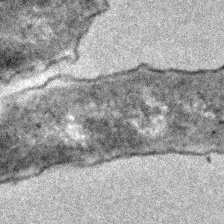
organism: E. coli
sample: E. Coli Bacteria